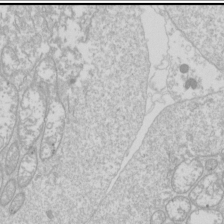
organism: Drosophila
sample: Cell division; meiosis; drosophila spermatocytes